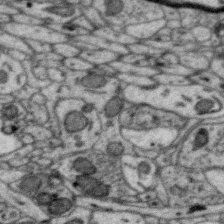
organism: Zebra finch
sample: Brain